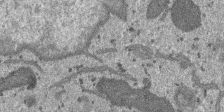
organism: Human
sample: Lung epithelial cells infected with SARS-CoV-2